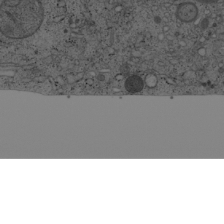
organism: African green monkey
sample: COS-7 cells